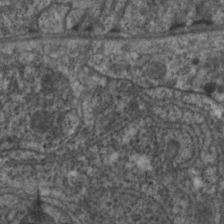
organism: C. elegans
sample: Pharynx